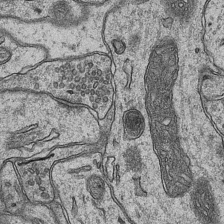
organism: Mouse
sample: CA1 Hippocampus